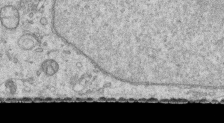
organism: Human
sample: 1205lu cells